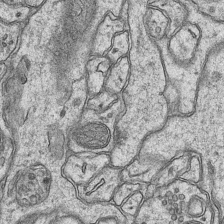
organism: Mouse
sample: CA1 Hippocampus